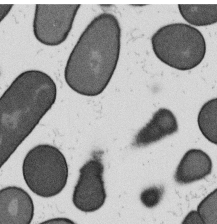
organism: B. subtilis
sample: Bacterial spore